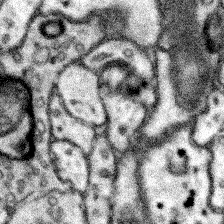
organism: Mouse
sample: Somatosensory cortex neuropil